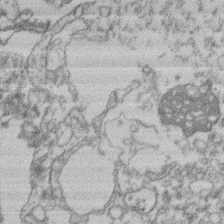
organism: Mouse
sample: T cell stromal cell synapse